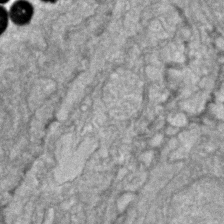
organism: Zebrafish